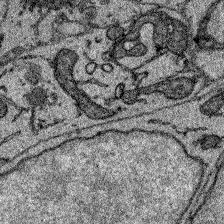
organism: Zebrafish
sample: Larval olfactory bulb